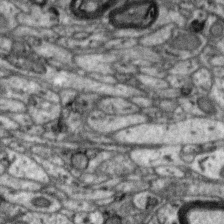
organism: Zebra finch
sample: Brain